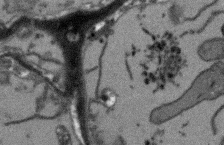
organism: Arabidopsis thaliana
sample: Root tip